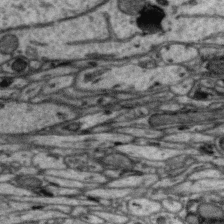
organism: Zebra finch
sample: Brain